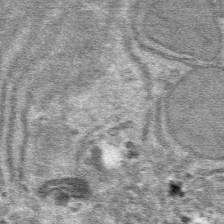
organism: Mouse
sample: Mouse hepatocytes